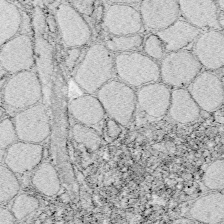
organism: Zebrafish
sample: Whole-Brain